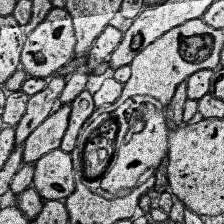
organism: Human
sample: Temporal Lobe